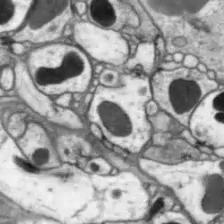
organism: Drosophila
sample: Optic lobe